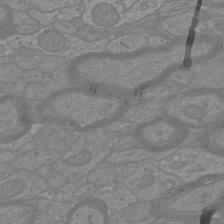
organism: Mouse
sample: Cortical neurons